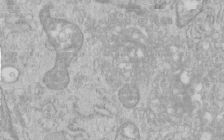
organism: Human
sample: Centriole in RPE cells